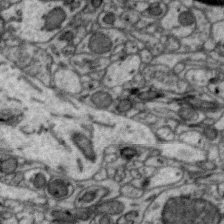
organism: Zebra finch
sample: Brain